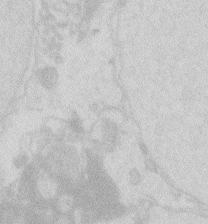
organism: Zebrafish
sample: Macrophage